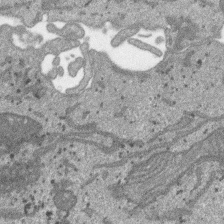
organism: Human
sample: Lung epithelial cells infected with SARS-CoV-2